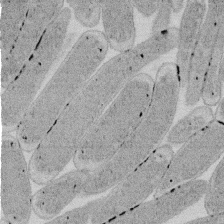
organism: E. coli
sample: Bacterial nucleoid